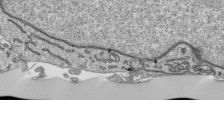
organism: Human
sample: Mitochondria in HCT116 cells